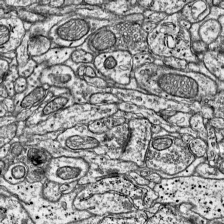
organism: Mouse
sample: Visual Cortex